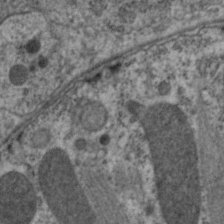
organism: C. elegans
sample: Pharynx